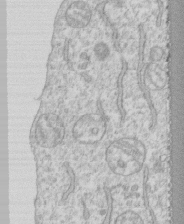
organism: Human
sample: CRL-1474